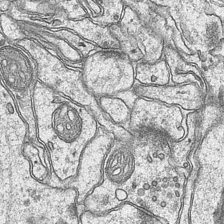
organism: Mouse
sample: CA1 Hippocampus